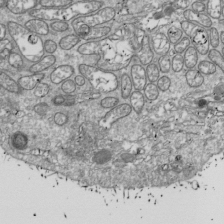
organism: Drosophila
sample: Cell division; meiosis; drosophila spermatocytes